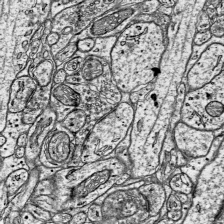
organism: Mouse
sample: Visual Cortex